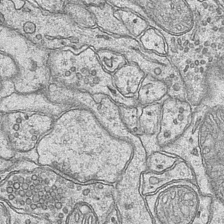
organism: Mouse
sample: CA1 Hippocampus